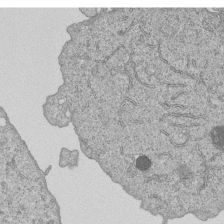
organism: Human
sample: MDA-MB-231 cells